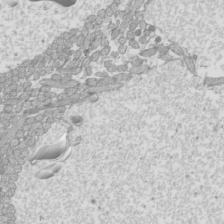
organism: Mouse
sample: Cilia; mouse epididymis